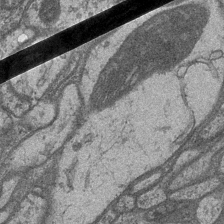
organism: Drosophila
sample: Optic medulla